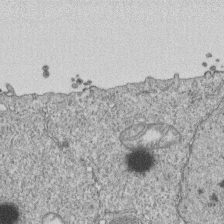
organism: Human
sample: HeLa cell HIV synapse